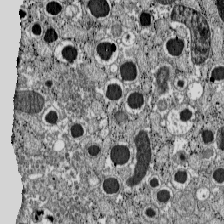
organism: C57BL Mouse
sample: Pancreatic islet